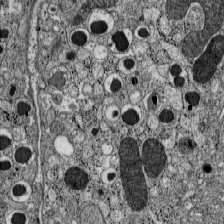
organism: C57BL Mouse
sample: Pancreatic islet